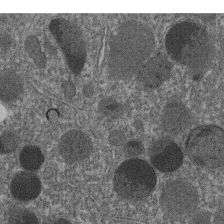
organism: C. elegans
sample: C. elegans embryo early stage